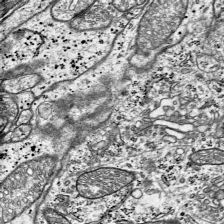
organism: Mouse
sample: Visual Cortex